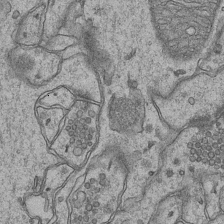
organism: Mouse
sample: CA1 Hippocampus